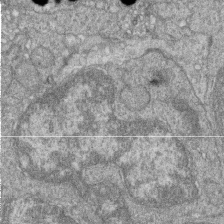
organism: Zebrafish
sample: Cilia; retinal pigment epithelium